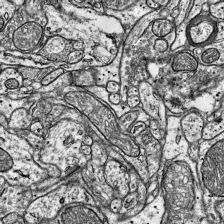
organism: Mouse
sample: Visual Cortex